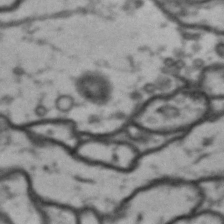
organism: Drosophila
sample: Brain